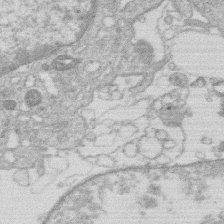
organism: Human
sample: Macrophage cells